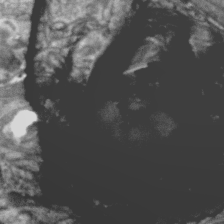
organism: Zebra finch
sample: Brain